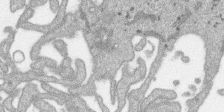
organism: Human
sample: Lung epithelial cells infected with SARS-CoV-2